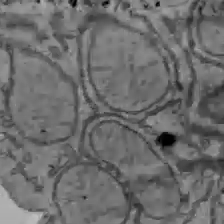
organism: C57BL Mouse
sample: Liver